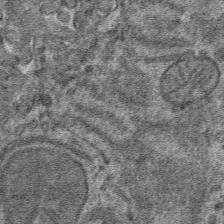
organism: Mouse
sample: Mouse hepatocytes